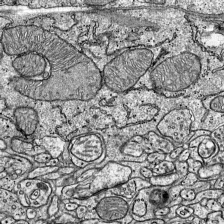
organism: Mouse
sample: Visual Cortex